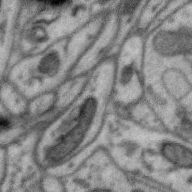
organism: Zebra finch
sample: Brain